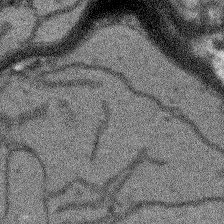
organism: Arabidopsis thaliana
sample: Root tip